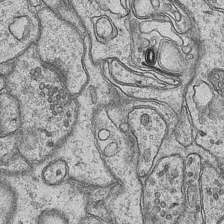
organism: Mouse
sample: CA1 Hippocampus